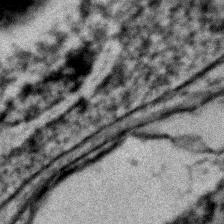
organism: C. elegans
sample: C. elegans embryo